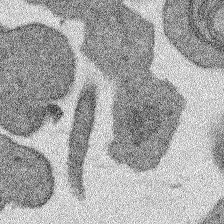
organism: Human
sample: HeLa cells